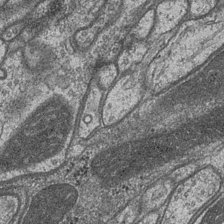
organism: Drosophila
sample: Optic medulla